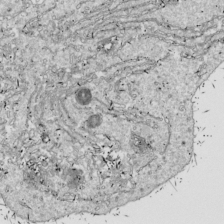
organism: Drosophila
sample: Cell division; meiosis; drosophila spermatocytes